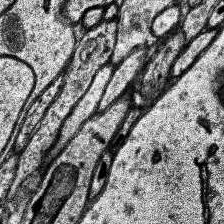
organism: Human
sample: Temporal Lobe